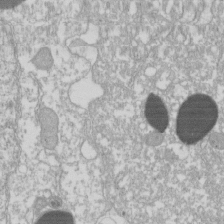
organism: Xenopus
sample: Cilia; centrioles in frog embryo cells